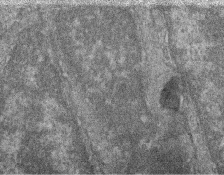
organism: Zebrafish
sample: Cilia; retinal pigment epithelium